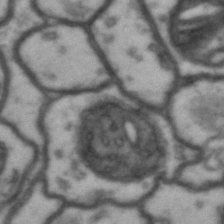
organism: Drosophila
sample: Brain